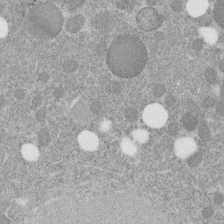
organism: C. elegans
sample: C. elegans embryo early stage